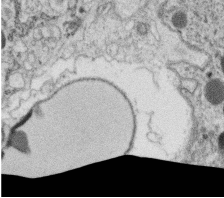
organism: C. elegans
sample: C. elegans oocyte; sperm cells